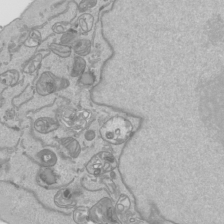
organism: Human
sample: Mitochondria in HCT116 cells